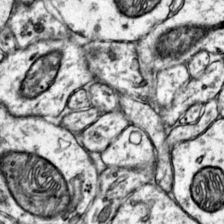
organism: Mouse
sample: Primary visual cortex